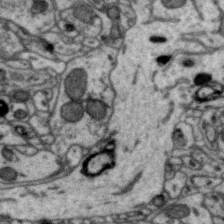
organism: Zebra finch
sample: Brain